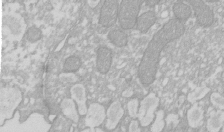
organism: Xenopus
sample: Cilia; centrioles in frog embryo cells